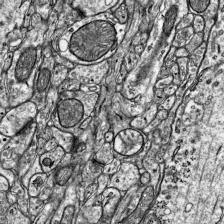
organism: Mouse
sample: Visual Cortex